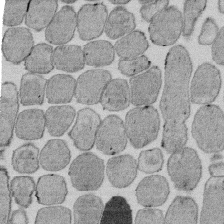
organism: E. coli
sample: Bacterial nucleoid